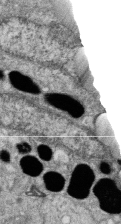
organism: Zebrafish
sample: Cilia; retinal pigment epithelium